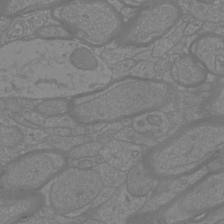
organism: Mouse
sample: Cortical neurons